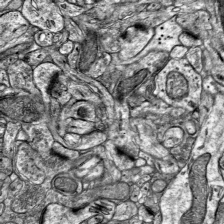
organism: Mouse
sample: Visual Cortex